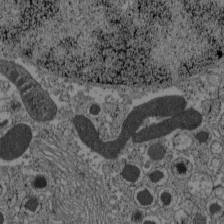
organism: C57BL Mouse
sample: Pancreatic islet